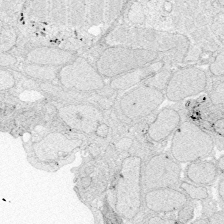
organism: Zebrafish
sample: Whole-Brain